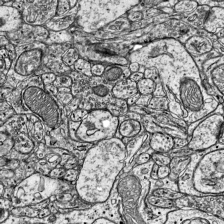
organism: Mouse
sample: Visual Cortex